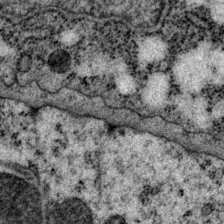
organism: P. pacificus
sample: Pharynx